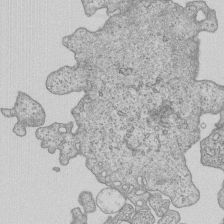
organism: Human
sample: MDA-MB-231 cells